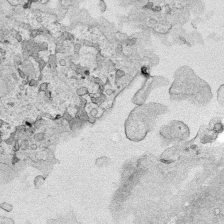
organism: Human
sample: Mitochondria in HCT116 cells